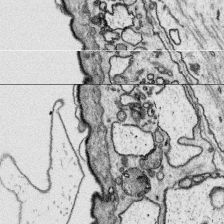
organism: Platynereis dumerilii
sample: Parapodia